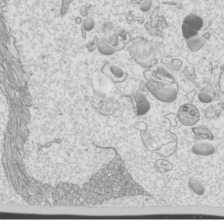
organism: Mouse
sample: Cilia; mouse epididymis